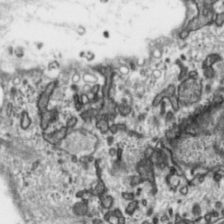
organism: Toxoplasma gondii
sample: Parasites in a vacuole inside a host cell